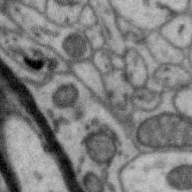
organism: Zebra finch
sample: Brain